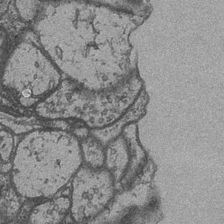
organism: Drosophila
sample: Optic medulla